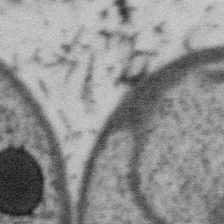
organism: Gemmata obscuriglobus